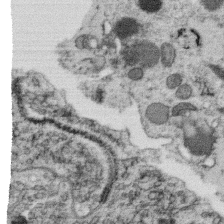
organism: C. elegans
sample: C. elegans oocyte; sperm cells